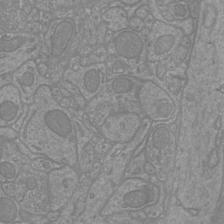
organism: Mouse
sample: Cortical neurons